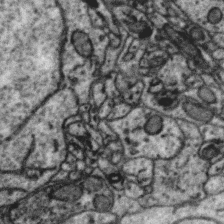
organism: Zebra finch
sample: Brain